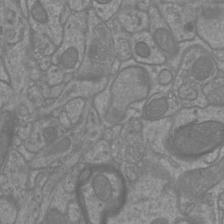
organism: Mouse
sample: Cortical neurons